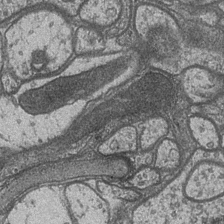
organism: Drosophila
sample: Optic medulla